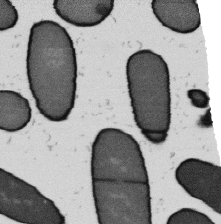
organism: B. subtilis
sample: Bacterial spore